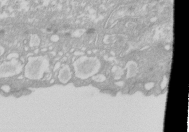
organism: Xenopus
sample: Cilia; centrioles in frog embryo cells